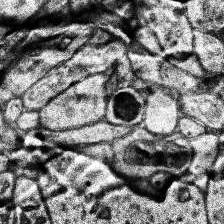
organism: Human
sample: Temporal Lobe